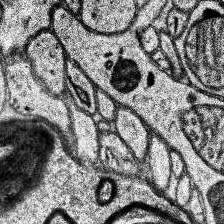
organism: Human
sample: Temporal Lobe